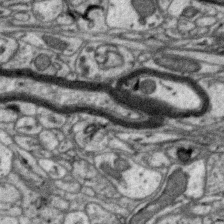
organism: Zebra finch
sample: Brain